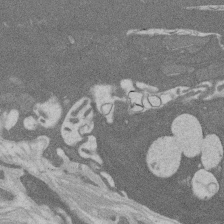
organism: Rat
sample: Salivary granule